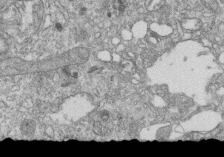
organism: Human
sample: HeLa cell HIV synapse